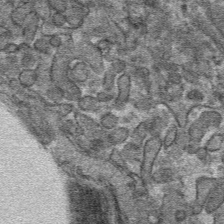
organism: Mouse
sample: Mouse hepatocytes